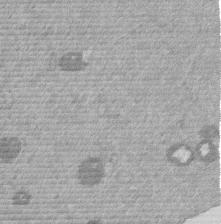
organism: Mouse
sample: Dividing mouse embryo 1 cell stage